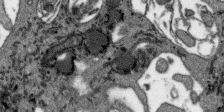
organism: Human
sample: Lung epithelial cells, uninfected (mock) control